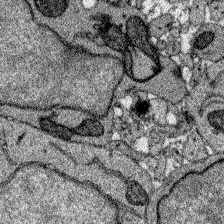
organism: Zebrafish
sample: Larval olfactory bulb